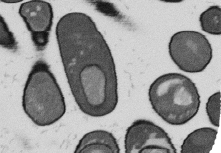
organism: B. subtilis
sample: Bacterial spore